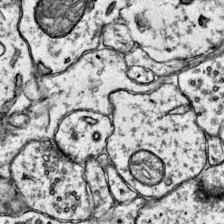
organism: Mouse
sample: Primary visual cortex